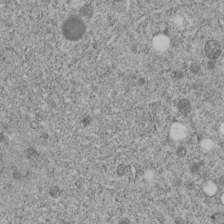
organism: C. elegans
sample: C. elegans embryo early stage